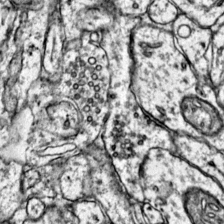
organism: Mouse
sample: Primary visual cortex